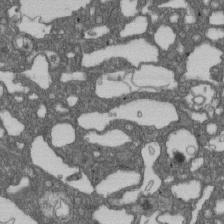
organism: Drosophila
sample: Nephrocyte